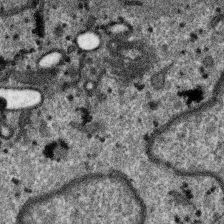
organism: Human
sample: Lung epithelial cells infected with SARS-CoV-2